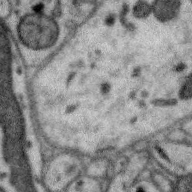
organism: Zebra finch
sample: Brain